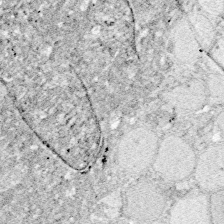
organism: Zebrafish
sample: Whole-Brain